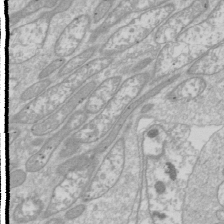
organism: Drosophila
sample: Cell division; meiosis; drosophila spermatocytes